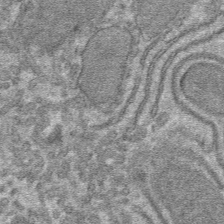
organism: Mouse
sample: Mouse hepatocytes